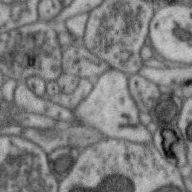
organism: Zebra finch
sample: Brain